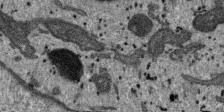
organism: Human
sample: Lung epithelial cells, uninfected (mock) control